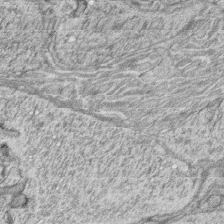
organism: Zebrafish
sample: synaptic ribbons in rod cells and cone cells